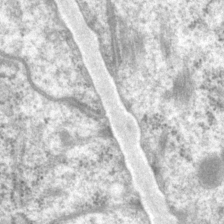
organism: P. pacificus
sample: Pharynx